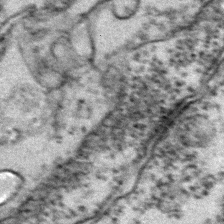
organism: Zebrafish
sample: Zebrafish embryo